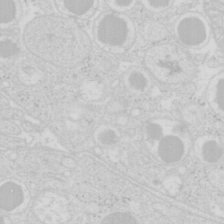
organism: Mouse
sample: Pancreas